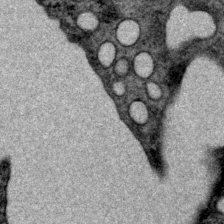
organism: P. pacificus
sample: Pharynx